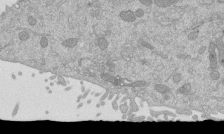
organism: Mouse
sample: ED-1 cell nuclei; centrioles